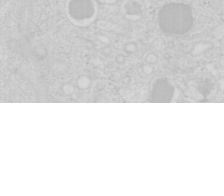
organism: Mouse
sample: Pancreas